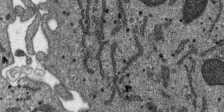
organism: Human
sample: Lung epithelial cells infected with SARS-CoV-2